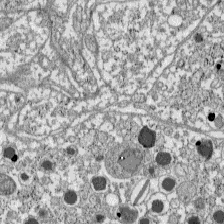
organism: C57BL Mouse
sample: Pancreatic islet